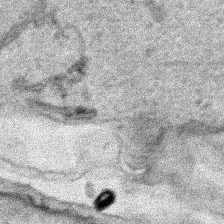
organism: Human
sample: Mitochondria in HCT116 cells